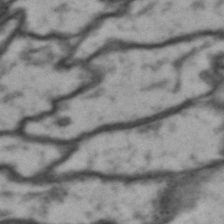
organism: Drosophila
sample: Brain